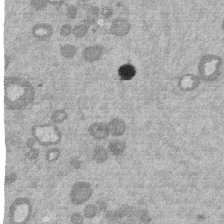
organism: Mouse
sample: Dividing mouse embryo 1 cell stage